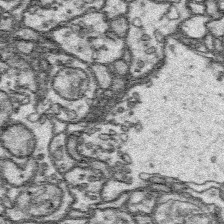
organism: Platynereis dumerilii